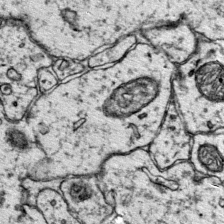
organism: Mouse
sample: Primary visual cortex